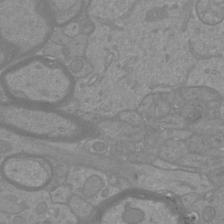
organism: Mouse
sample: Cortical neurons